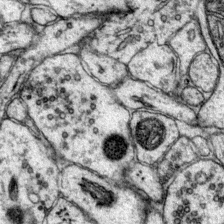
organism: Mouse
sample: Primary visual cortex